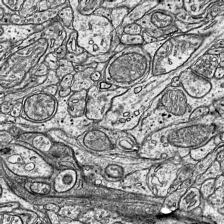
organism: Mouse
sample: Visual Cortex